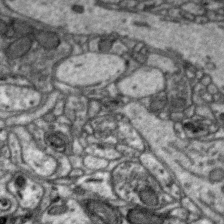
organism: Zebra finch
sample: Brain